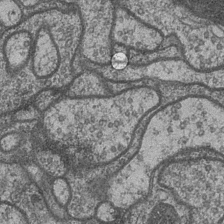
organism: Drosophila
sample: Optic medulla